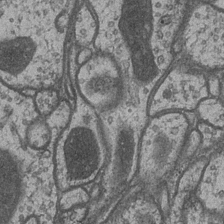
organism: Drosophila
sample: Optic medulla